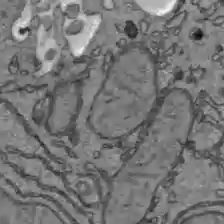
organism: C57BL Mouse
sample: Liver